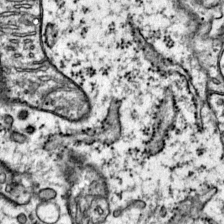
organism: Mouse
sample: Primary visual cortex